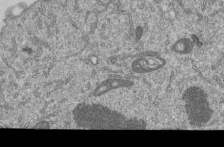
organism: Human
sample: MDA-MB-231 cells